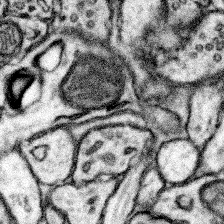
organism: Mouse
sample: Somatosensory cortex neuropil